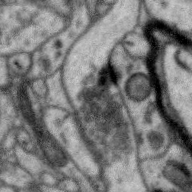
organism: Zebra finch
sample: Brain